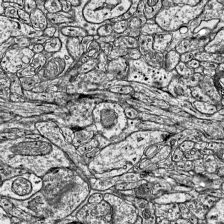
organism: Mouse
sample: Visual Cortex